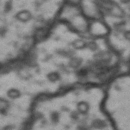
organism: Drosophila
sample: Brain